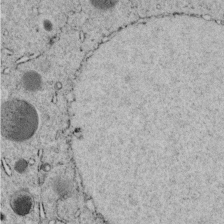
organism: C. elegans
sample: C. elegans embryo early stage